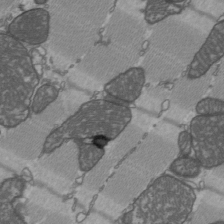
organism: C57BL Mouse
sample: Heart